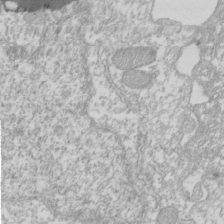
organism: Xenopus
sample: Cilia; centrioles in frog embryo cells